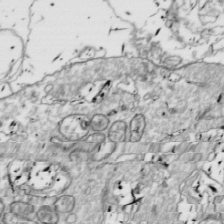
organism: Drosophila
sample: Cell division; meiosis; drosophila spermatocytes